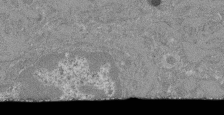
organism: Mouse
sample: Glomerulus